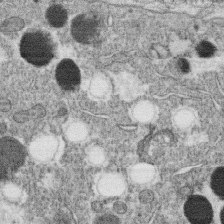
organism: C. elegans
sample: C. elegans oocyte; sperm cells